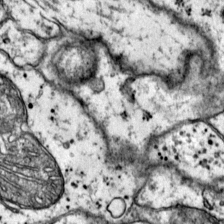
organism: Mouse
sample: Primary visual cortex